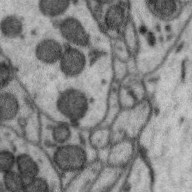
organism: Zebra finch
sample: Brain